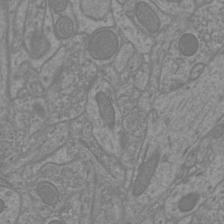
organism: Mouse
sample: Cortical neurons